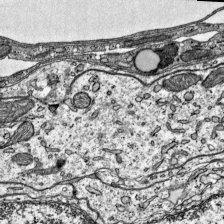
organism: Mouse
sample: Visual Cortex